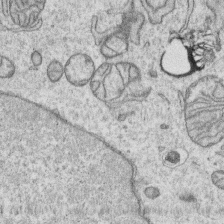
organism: Human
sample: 1205lu cells